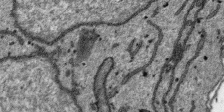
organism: Human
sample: Lung epithelial cells, uninfected (mock) control